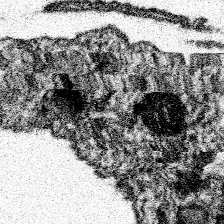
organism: Spongilla lacustris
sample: Neuroid cell